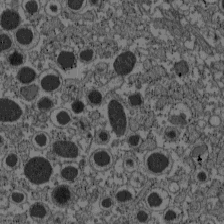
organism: C57BL Mouse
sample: Pancreatic islet